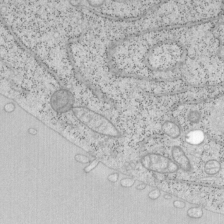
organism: Mouse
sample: OT-I killer T cells with ID8 ovarian cancer cells